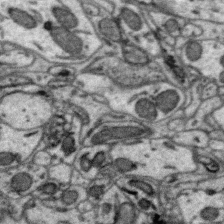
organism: Zebra finch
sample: Brain